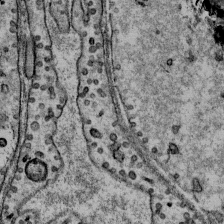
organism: Mouse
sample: Mouse Salivary gland